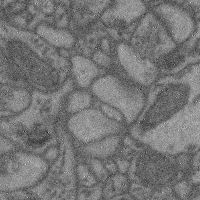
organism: Mouse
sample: Cerebral cortex